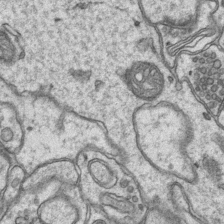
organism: Mouse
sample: CA1 Hippocampus